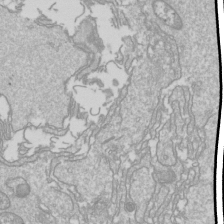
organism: Drosophila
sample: Cell division; meiosis; drosophila spermatocytes